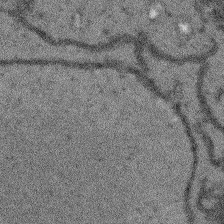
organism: Arabidopsis thaliana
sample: Root tip